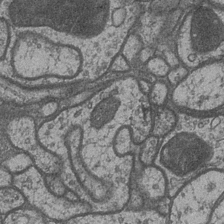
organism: Drosophila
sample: Optic medulla